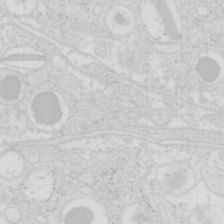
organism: Mouse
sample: Pancreas